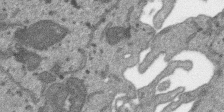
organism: Human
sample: Lung epithelial cells infected with SARS-CoV-2